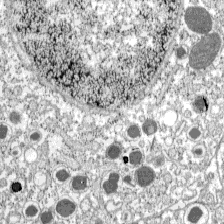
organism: C57BL Mouse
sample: Pancreatic islet